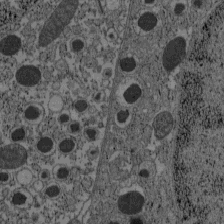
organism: C57BL Mouse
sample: Pancreatic islet